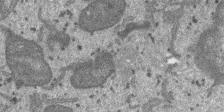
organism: Human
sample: Lung epithelial cells infected with SARS-CoV-2